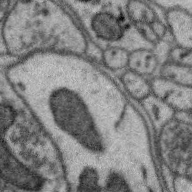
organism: Zebra finch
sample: Brain